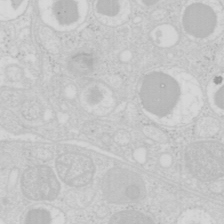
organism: Mouse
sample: Pancreas